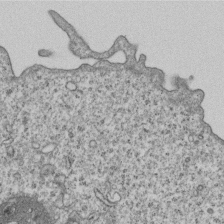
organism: Human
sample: MDA-MB-231 cells